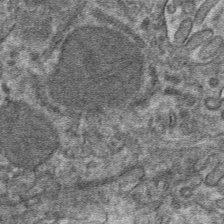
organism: Mouse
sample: Mouse hepatocytes